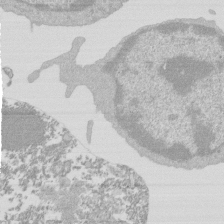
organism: Mouse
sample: Activated Pmel transgenic CD8+ T Cells